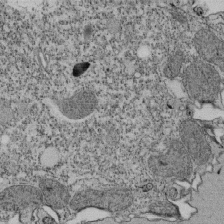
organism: Tetrahymena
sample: Cilia in tetrahymena